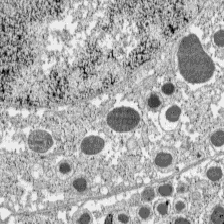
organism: C57BL Mouse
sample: Pancreatic islet